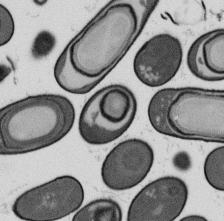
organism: B. subtilis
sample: Bacterial spore